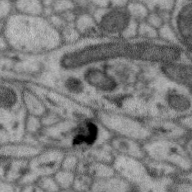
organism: Zebra finch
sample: Brain